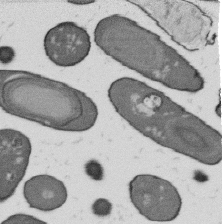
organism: B. subtilis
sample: Bacterial spore